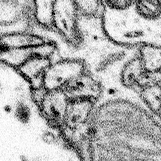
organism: Mouse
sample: Somatosensory cortex neuropil